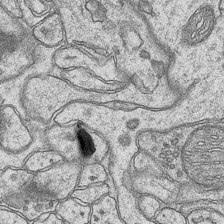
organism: Mouse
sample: CA1 Hippocampus